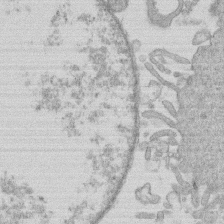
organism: Human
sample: Macrophage cells